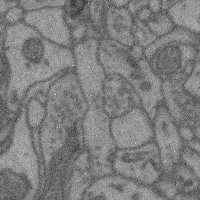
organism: Mouse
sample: Cerebral cortex